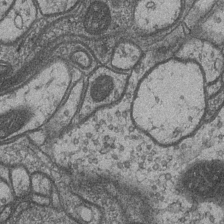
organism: Drosophila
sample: Optic medulla